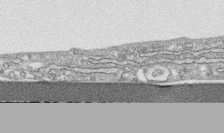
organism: Human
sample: CRL-1474